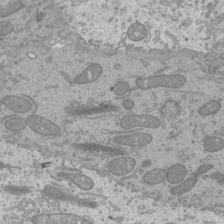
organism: Mouse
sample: Cilia; mouse epididymis